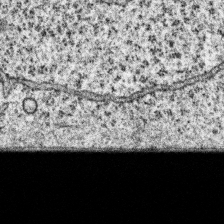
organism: Human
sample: HeLa cells